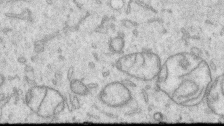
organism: Human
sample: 1205lu cells